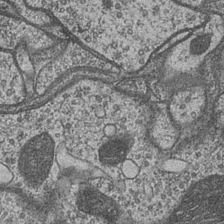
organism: Drosophila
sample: Optic medulla